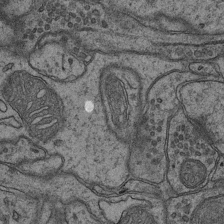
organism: Mouse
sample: CA1 Hippocampus